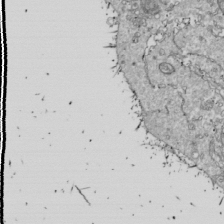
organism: Drosophila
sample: Cell division; meiosis; drosophila spermatocytes